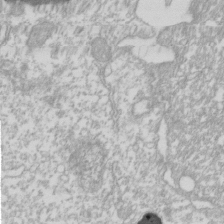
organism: Xenopus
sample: Cilia; centrioles in frog embryo cells